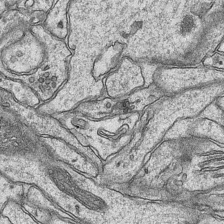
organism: Mouse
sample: CA1 Hippocampus